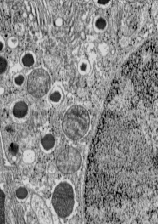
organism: C57BL Mouse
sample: Pancreatic islet